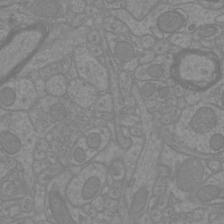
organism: Mouse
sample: Cortical neurons